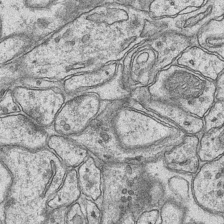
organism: Mouse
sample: CA1 Hippocampus